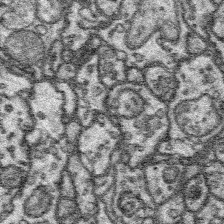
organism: Platynereis dumerilii